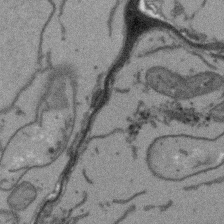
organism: Arabidopsis thaliana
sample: Root tip